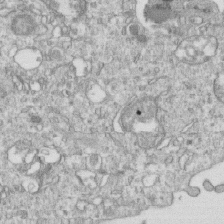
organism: Mouse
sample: Activated OT-1 CD8+ T cells